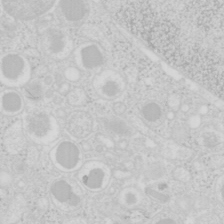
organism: Mouse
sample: Pancreas